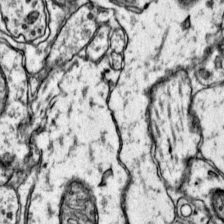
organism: Mouse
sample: Primary visual cortex